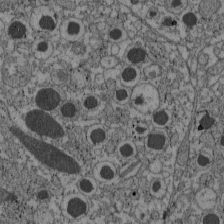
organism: C57BL Mouse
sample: Pancreatic islet